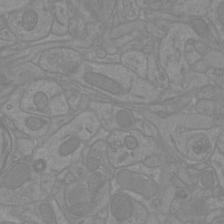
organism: Mouse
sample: Cortical neurons